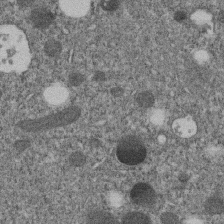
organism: C. elegans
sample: C. elegans embryo early stage